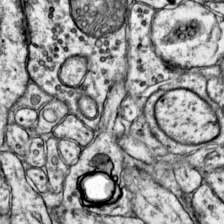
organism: Mouse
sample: Primary visual cortex